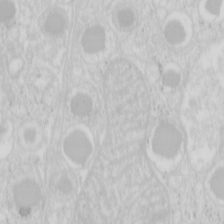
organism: Mouse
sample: Pancreas